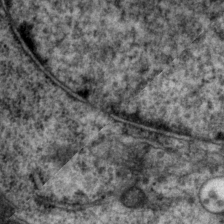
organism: P. pacificus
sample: Pharynx